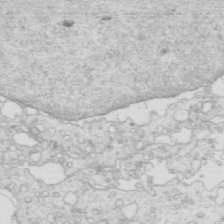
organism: Mouse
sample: Multiciliated cells